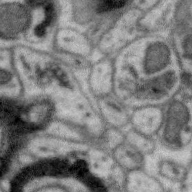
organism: Zebra finch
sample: Brain